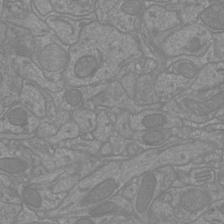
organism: Mouse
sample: Cortical neurons